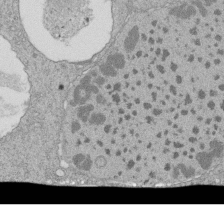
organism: Tetrahymena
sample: Cilia in tetrahymena